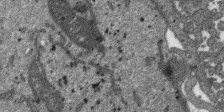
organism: Human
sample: Lung epithelial cells infected with SARS-CoV-2